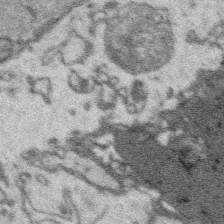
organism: Platynereis dumerilii